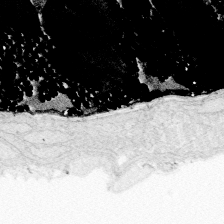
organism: Zebrafish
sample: Whole-Brain